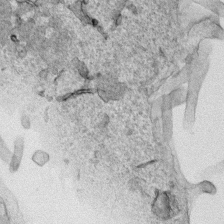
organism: Human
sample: Mitochondria in HCT116 cells